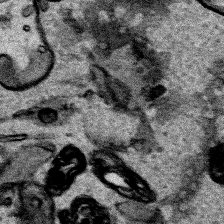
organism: Human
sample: Mitochondria in HCT116 cells